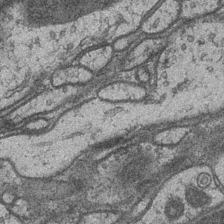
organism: Drosophila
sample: Optic medulla